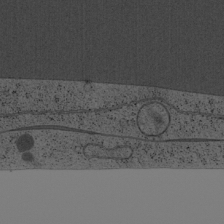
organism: African green monkey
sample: COS-7 cells